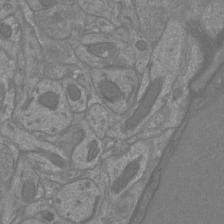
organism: Mouse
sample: Cortical neurons